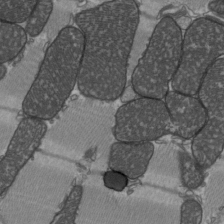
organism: C57BL Mouse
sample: Heart